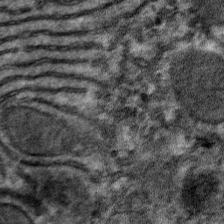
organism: Mouse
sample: Mouse hepatocytes